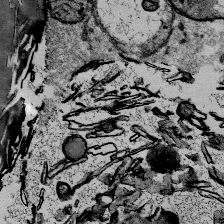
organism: Mouse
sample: Mouse Salivary gland